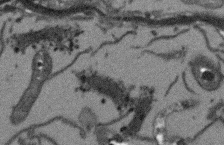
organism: Arabidopsis thaliana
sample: Root tip